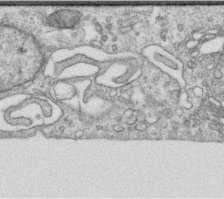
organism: Human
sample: Centriole in RPE cells